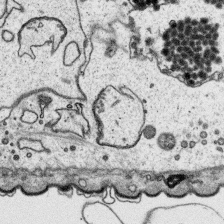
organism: Platynereis dumerilii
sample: Parapodia